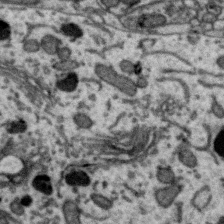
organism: Zebra finch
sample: Brain